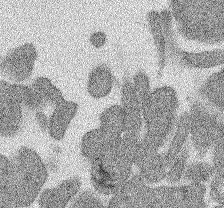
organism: Human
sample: HeLa cells